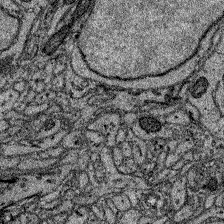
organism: Zebrafish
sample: Larval olfactory bulb